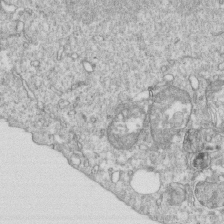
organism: Mouse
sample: Activated OT-1 CD8+ T cells